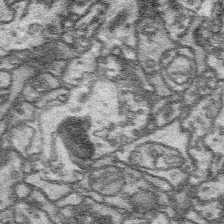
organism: Platynereis dumerilii